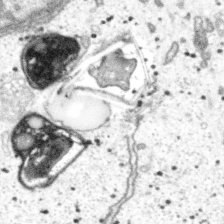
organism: Human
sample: HeLa cells